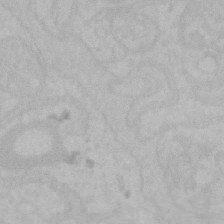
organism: Mouse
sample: Choroid plexus